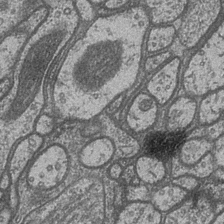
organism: Drosophila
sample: Optic medulla